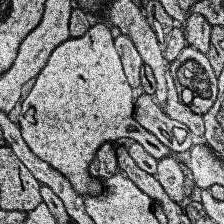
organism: Human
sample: Temporal Lobe